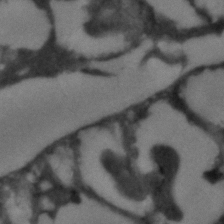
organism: C. elegans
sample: C. elegans embryo